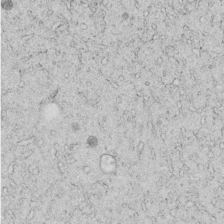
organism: C. elegans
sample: C. elegans embryo early stage